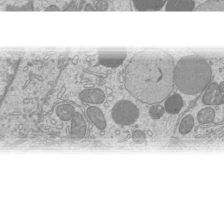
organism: Mouse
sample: Cilia; mouse epididymis